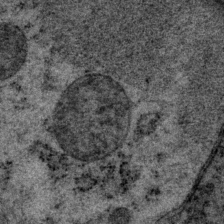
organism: P. pacificus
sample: Pharynx